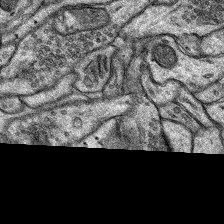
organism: Rat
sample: Hippocampus